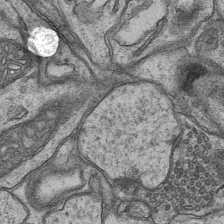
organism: Mouse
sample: CA1 Hippocampus